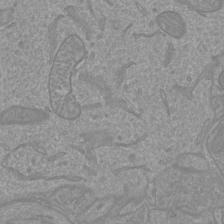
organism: Mouse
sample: Cortical neurons